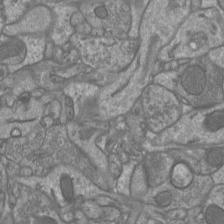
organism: Mouse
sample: Cortical neurons